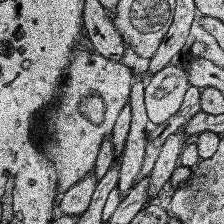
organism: Human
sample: Temporal Lobe